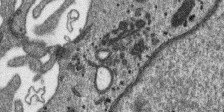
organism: Human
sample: Lung epithelial cells infected with SARS-CoV-2